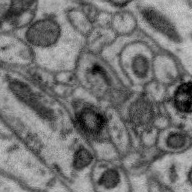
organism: Zebra finch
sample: Brain